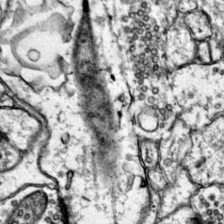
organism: Mouse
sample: Primary visual cortex